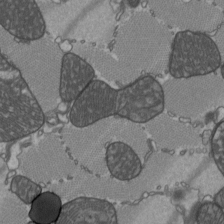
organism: C57BL Mouse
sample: Heart